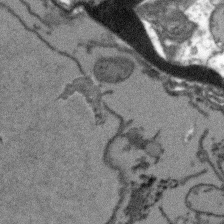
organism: Arabidopsis thaliana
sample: Root tip